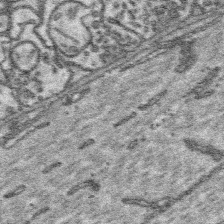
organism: Platynereis dumerilii